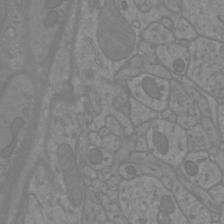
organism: Mouse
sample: Cortical neurons